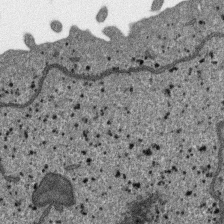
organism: Human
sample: Lung epithelial cells infected with SARS-CoV-2